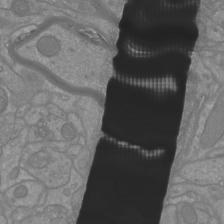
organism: Mouse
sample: Cortical neurons